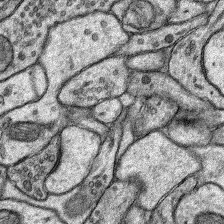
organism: Rat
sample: Hippocampus